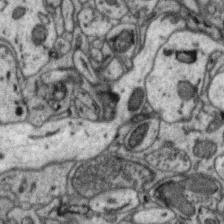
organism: Zebra finch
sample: Brain